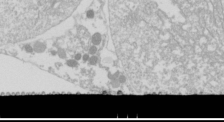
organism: Drosophila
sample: Cell division; meiosis; drosophila spermatocytes